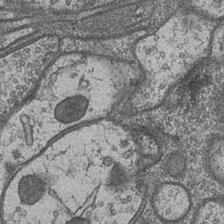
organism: Drosophila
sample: Optic medulla